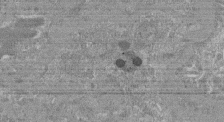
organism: Mouse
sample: Glomerulus